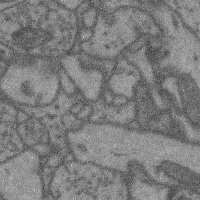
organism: Mouse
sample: Cerebral cortex